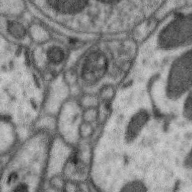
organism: Zebra finch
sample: Brain